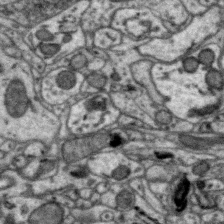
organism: Zebra finch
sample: Brain